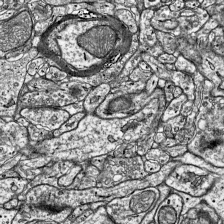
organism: Mouse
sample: Visual Cortex